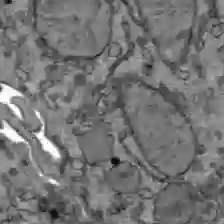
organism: C57BL Mouse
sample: Liver